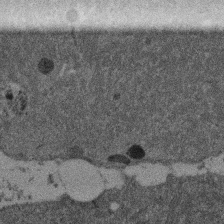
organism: Mouse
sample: Dividing mouse embryo 1 cell stage